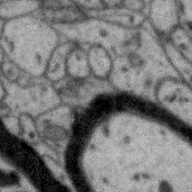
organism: Zebra finch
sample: Brain